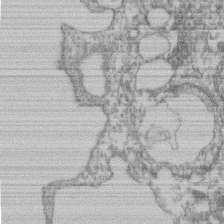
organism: Mouse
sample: T cell stromal cell synapse